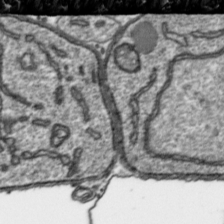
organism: Toxoplasma gondii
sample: Parasites in a vacuole inside a host cell